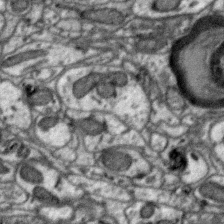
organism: Zebra finch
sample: Brain